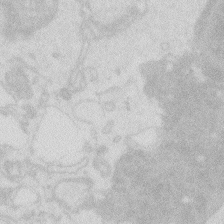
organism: Zebrafish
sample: Macrophage